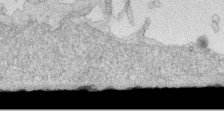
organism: Human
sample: HeLa cell HIV synapse